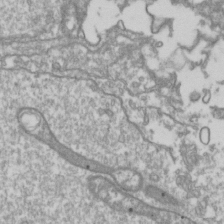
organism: Drosophila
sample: Cell division; meiosis; drosophila spermatocytes